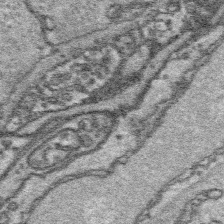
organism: Platynereis dumerilii